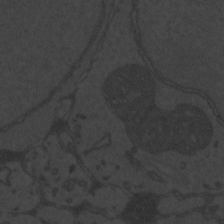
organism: Zebrafish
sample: Macrophage infected with Toxoplasma gondii